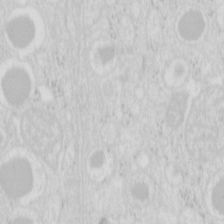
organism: Mouse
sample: Pancreas